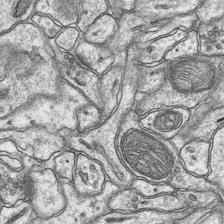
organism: Mouse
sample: CA1 Hippocampus